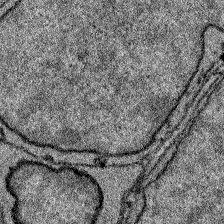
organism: Zebrafish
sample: Larval olfactory bulb